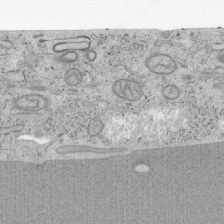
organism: Human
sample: HeLa cells